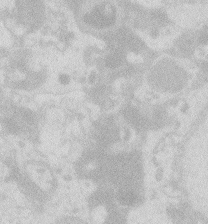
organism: Zebrafish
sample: Macrophage